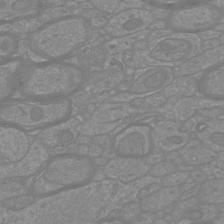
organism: Mouse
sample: Cortical neurons